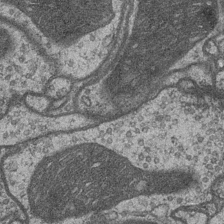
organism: Drosophila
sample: Optic medulla